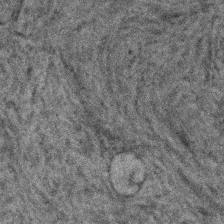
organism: Human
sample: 1205lu cells